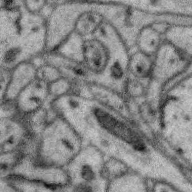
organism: Zebra finch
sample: Brain